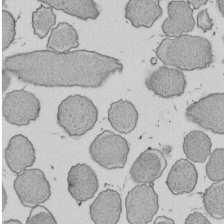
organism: E. coli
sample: Bacterial nucleoid